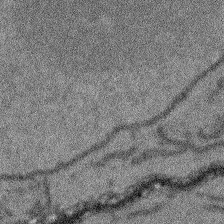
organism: Arabidopsis thaliana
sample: Root tip